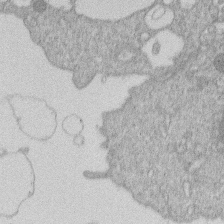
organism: Human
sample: Macrophage cells